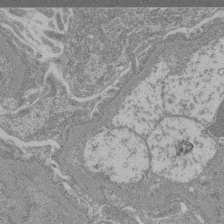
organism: Mouse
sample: Glomerulus